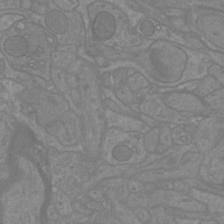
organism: Mouse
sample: Cortical neurons